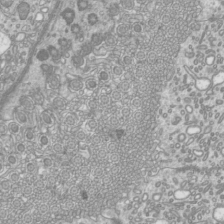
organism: Mouse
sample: Cilia; mouse epididymis